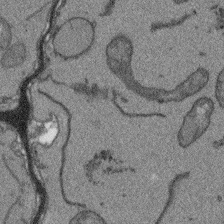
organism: Arabidopsis thaliana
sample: Root tip